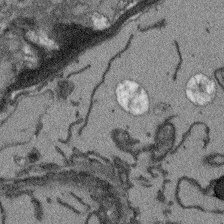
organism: Arabidopsis thaliana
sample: Root tip